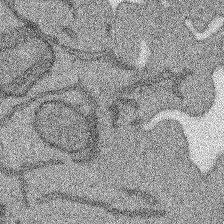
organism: Human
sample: HeLa cells